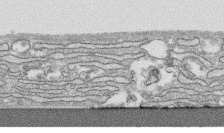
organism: Human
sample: CRL-1474